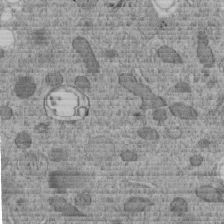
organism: C. elegans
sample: C. elegans embryo early stage